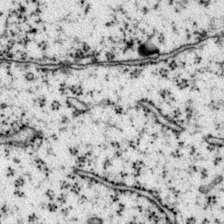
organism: Mouse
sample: Primary visual cortex